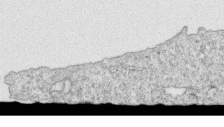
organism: Human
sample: HeLa cell HIV synapse